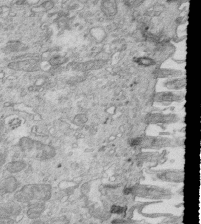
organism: Mouse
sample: Multiciliated cells